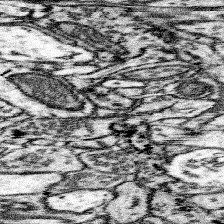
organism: Mouse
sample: Somatosensory cortex neuropil